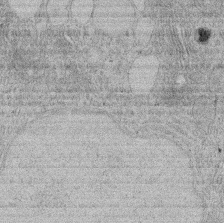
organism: Rat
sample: Salivary granule